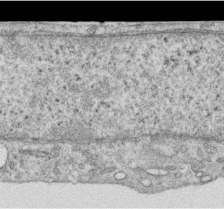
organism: Human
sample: Centriole in RPE cells